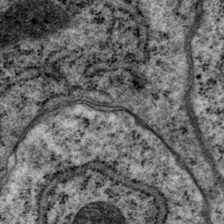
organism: P. pacificus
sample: Pharynx